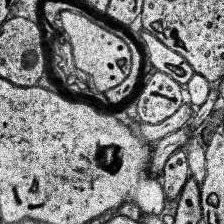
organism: Human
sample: Temporal Lobe